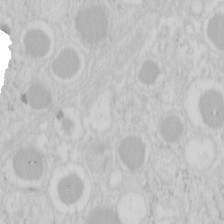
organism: Mouse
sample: Pancreas